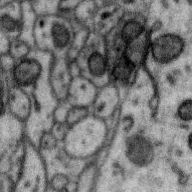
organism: Zebra finch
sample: Brain